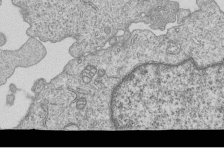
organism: Human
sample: MDA-MB-231 cells